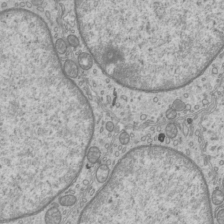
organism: Mouse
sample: Cilia; mouse epididymis